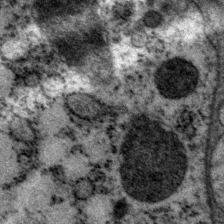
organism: P. pacificus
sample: Pharynx